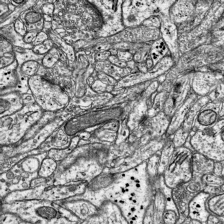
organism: Mouse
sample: Visual Cortex